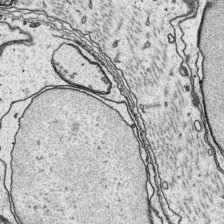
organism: Platynereis dumerilii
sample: Parapodia